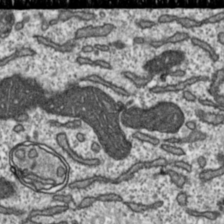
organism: Toxoplasma gondii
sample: Parasites in a vacuole inside a host cell